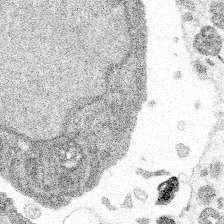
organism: Spongilla lacustris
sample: Multiple